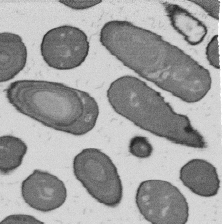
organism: B. subtilis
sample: Bacterial spore